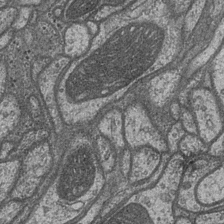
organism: Drosophila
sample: Optic medulla